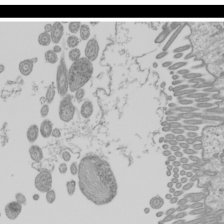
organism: Mouse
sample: Cilia; mouse epididymis